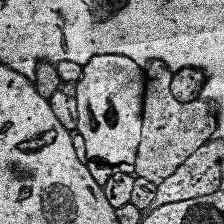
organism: Human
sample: Temporal Lobe